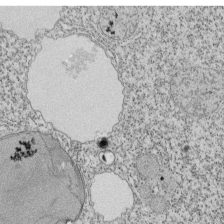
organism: Tetrahymena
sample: Cilia in tetrahymena